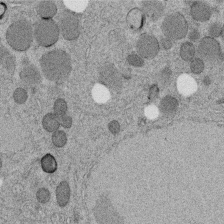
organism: C. elegans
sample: C. elegans embryo early stage